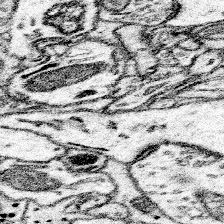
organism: Mouse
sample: Somatosensory cortex neuropil